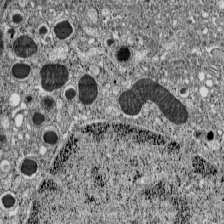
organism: C57BL Mouse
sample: Pancreatic islet